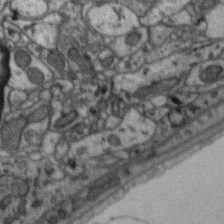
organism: Zebra finch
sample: Brain